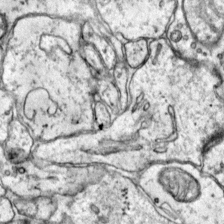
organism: Mouse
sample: Primary visual cortex